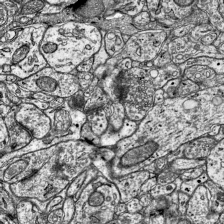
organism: Mouse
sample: Visual Cortex